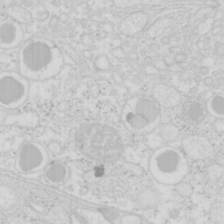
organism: Mouse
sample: Pancreas